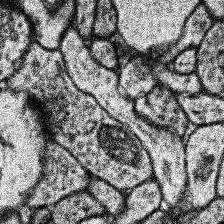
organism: Human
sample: Temporal Lobe